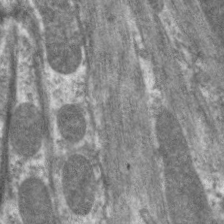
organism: C. elegans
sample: Pharynx